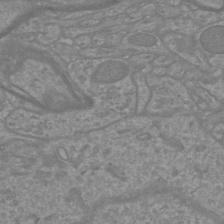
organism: Mouse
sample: Cortical neurons